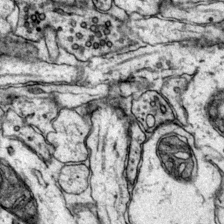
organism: Mouse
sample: Primary visual cortex